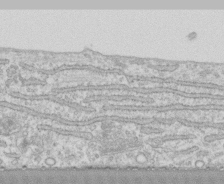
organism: Human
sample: CRL-1474